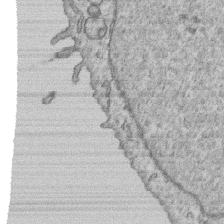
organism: Human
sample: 1205lu cells